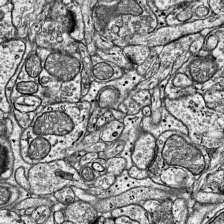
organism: Mouse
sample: Visual Cortex